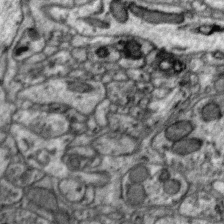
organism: Zebra finch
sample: Brain